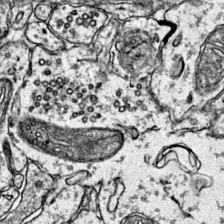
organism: Mouse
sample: Primary visual cortex